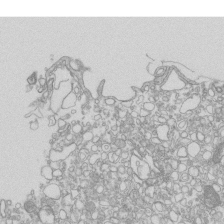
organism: Mouse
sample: Macrophages